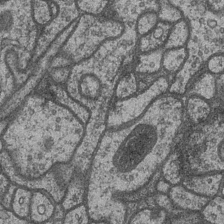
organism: Drosophila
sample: Optic medulla